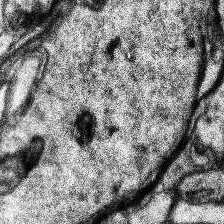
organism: Human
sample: Temporal Lobe